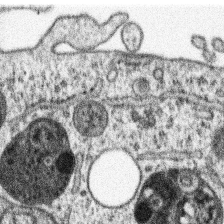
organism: Human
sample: HeLa cells